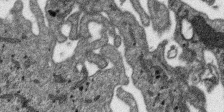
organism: Human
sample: Lung epithelial cells infected with SARS-CoV-2